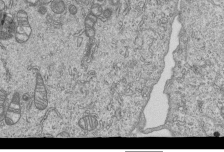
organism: Human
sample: MDA-MB-231 cells